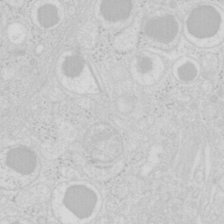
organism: Mouse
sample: Pancreas